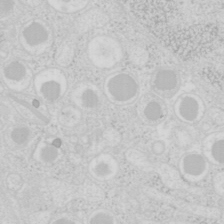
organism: Mouse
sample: Pancreas